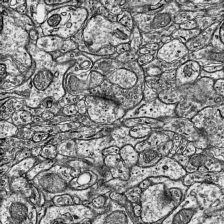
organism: Mouse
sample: Visual Cortex